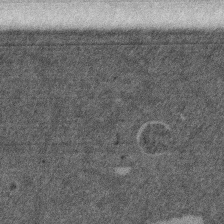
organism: Mouse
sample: Dividing mouse embryo 1 cell stage